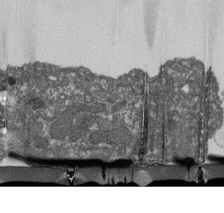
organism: Dictyostelium discoideum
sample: Dictyostelium multivesicular bodies